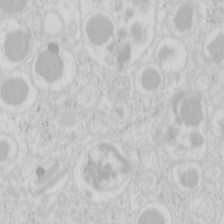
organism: Mouse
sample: Pancreas